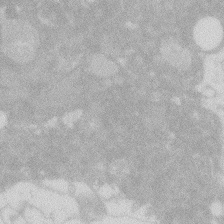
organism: Zebrafish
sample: Macrophage